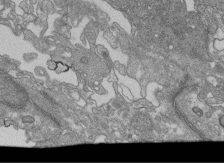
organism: Human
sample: Retinal organoid Rod and Cone cells